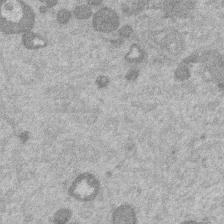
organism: Mouse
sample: Dividing mouse embryo 1 cell stage